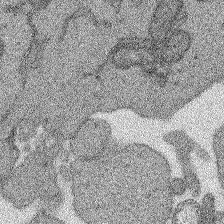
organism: Human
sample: HeLa cells